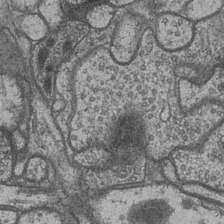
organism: Drosophila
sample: Optic medulla